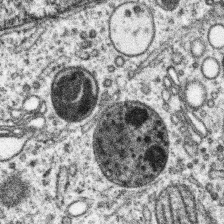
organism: Human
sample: HeLa cells